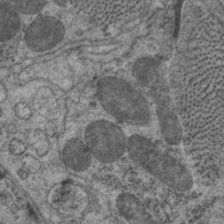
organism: C. elegans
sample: Pharynx